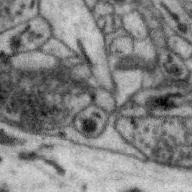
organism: Zebra finch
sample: Brain